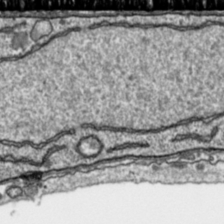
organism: Toxoplasma gondii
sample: Parasites in a vacuole inside a host cell